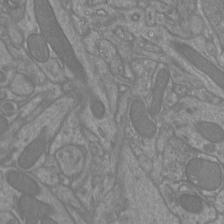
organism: Mouse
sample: Cortical neurons